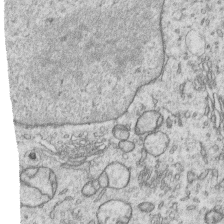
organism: Human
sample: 1205lu cells